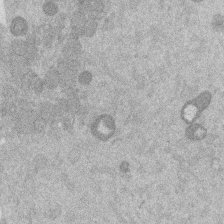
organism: Mouse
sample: Dividing mouse embryo 1 cell stage